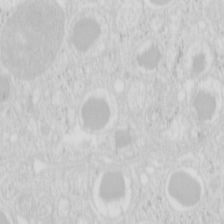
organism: Mouse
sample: Pancreas